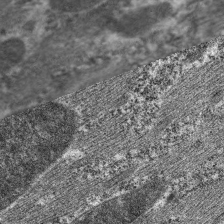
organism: C. elegans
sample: Pharynx